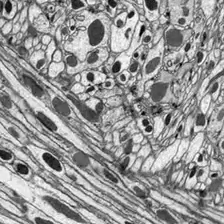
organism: Drosophila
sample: Optic lobe